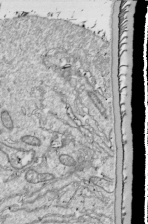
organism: Drosophila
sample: Cell division; meiosis; drosophila spermatocytes